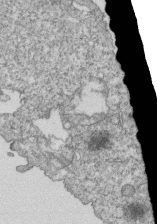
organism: Human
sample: HeLa cell HIV synapse